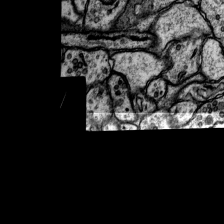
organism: Rat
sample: Hippocampus